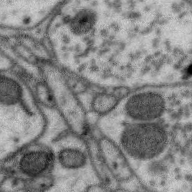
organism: Zebra finch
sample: Brain